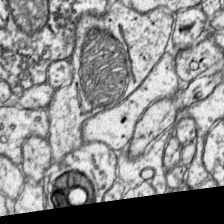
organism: Mouse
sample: Primary visual cortex